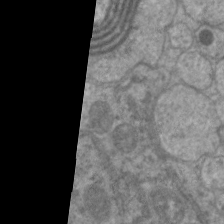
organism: C. elegans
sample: Pharynx